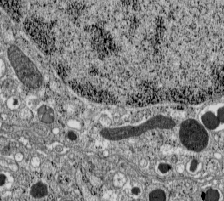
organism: C57BL Mouse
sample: Pancreatic islet